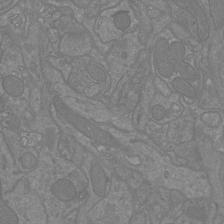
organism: Mouse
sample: Cortical neurons